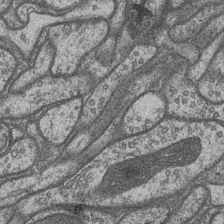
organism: Drosophila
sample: Optic medulla